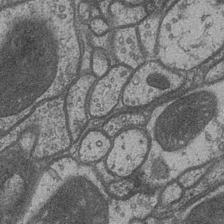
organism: Drosophila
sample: Optic medulla